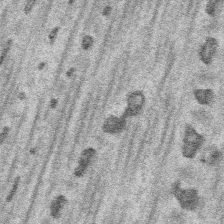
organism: Platynereis dumerilii